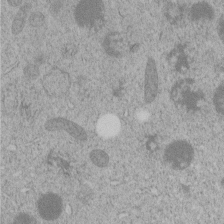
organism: C. elegans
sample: C. elegans embryo early stage